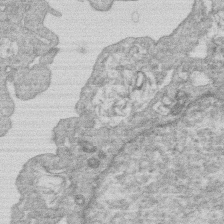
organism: Human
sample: Macrophage cells